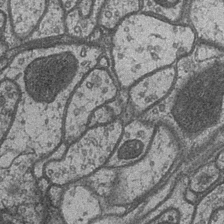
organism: Drosophila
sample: Optic medulla